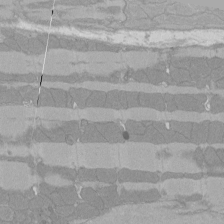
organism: Rat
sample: Left ventricle